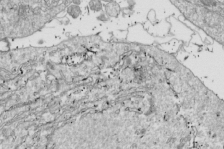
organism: Drosophila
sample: Cell division; meiosis; drosophila spermatocytes